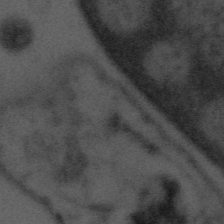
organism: Tuwongella immobilis